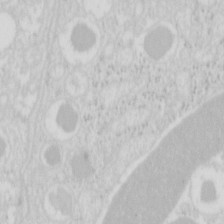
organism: Mouse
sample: Pancreas